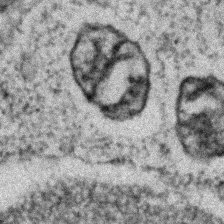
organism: Zebrafish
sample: Zebrafish embryo